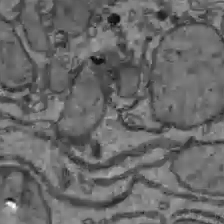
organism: C57BL Mouse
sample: Liver